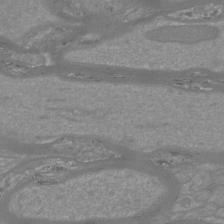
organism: Mouse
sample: Cortical neurons